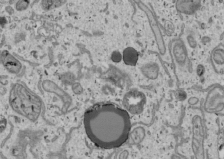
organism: Human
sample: Mitochondria in U2OS cells